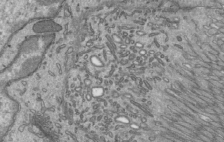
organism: Mouse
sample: Mouse epididymis efferent ductule cilia